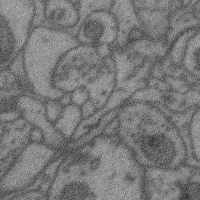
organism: Mouse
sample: Cerebral cortex